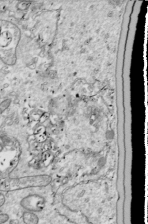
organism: Drosophila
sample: Cell division; meiosis; drosophila spermatocytes